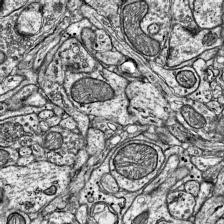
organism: Mouse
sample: Visual Cortex